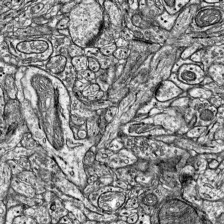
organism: Mouse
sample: Visual Cortex